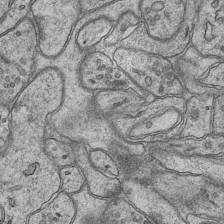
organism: Mouse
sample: CA1 Hippocampus